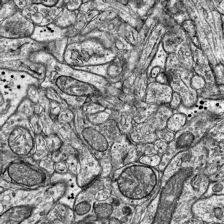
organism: Mouse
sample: Visual Cortex